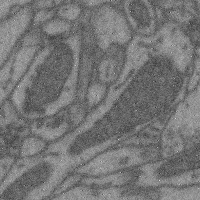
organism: Mouse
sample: Cerebral cortex